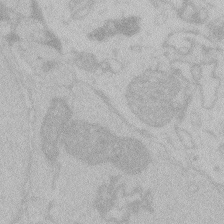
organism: Zebrafish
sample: Macrophage infected with Toxoplasma gondii